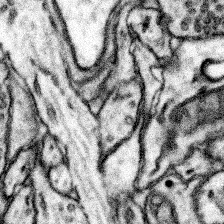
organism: Mouse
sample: Somatosensory cortex neuropil